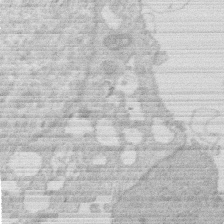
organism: Human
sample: Macrophage cells